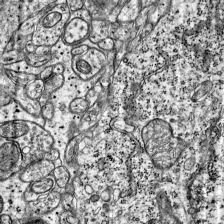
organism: Mouse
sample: Visual Cortex